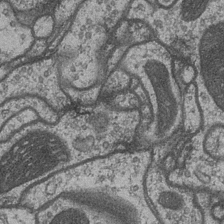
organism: Drosophila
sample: Optic medulla